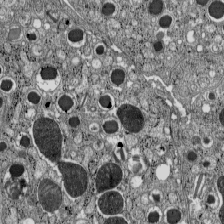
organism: C57BL Mouse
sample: Pancreatic islet